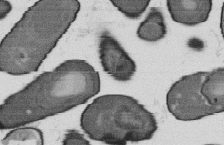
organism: B. subtilis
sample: Bacterial spore